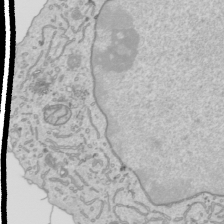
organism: Human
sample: Mitochondria in HCT116 cells